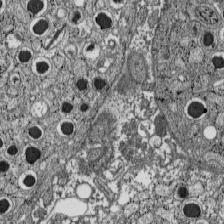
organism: C57BL Mouse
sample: Pancreatic islet